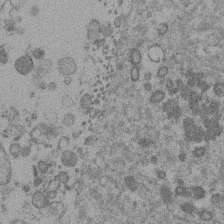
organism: Mouse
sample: Dividing mouse embryo 1 cell stage